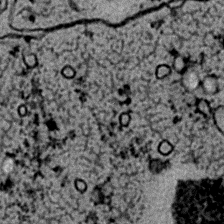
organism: C. elegans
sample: C. elegans embryo